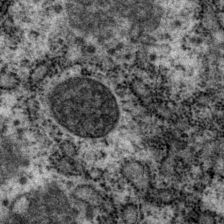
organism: P. pacificus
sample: Pharynx